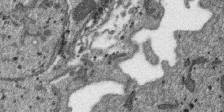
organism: Human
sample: Lung epithelial cells infected with SARS-CoV-2